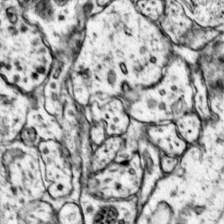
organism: Mouse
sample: Primary visual cortex